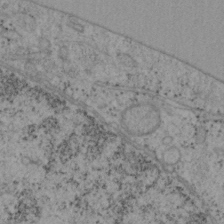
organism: Human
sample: HeLa cells